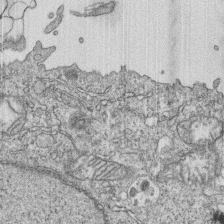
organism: Human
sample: HeLa cell HIV synapse